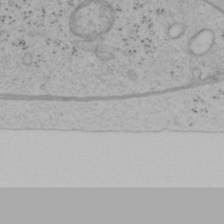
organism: Human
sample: HeLa cells